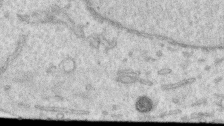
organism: Human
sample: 1205lu cells